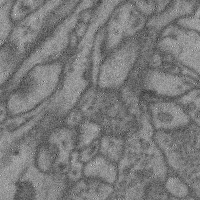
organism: Mouse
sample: Cerebral cortex